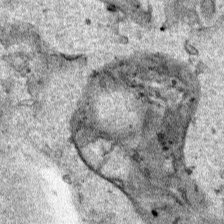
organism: Human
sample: Mitochondria in HCT116 cells